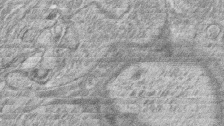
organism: Zebrafish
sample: synaptic ribbons in rod cells and cone cells